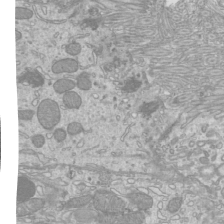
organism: Mouse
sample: Cilia; mouse epididymis